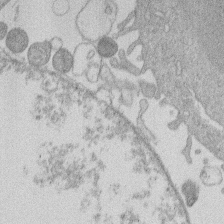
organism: Human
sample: Macrophage cells